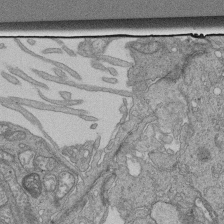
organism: Human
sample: Retinal organoid Rod and Cone cells